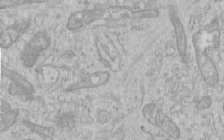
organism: Human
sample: Centriole in RPE cells